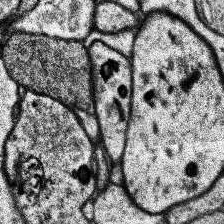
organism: Human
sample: Temporal Lobe